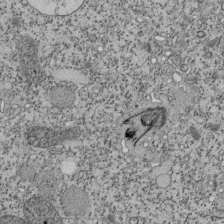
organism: Tetrahymena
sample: Cilia in tetrahymena